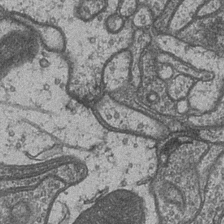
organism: Drosophila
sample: Optic medulla